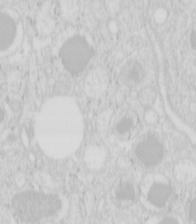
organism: Mouse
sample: Pancreas